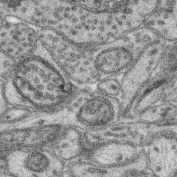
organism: Mouse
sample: Retina